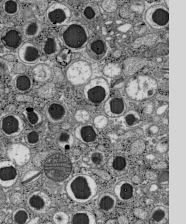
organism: C57BL Mouse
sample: Pancreatic islet